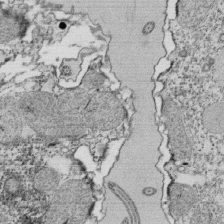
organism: Tetrahymena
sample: Cilia in tetrahymena